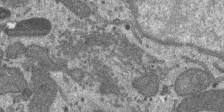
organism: Human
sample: Lung epithelial cells infected with SARS-CoV-2